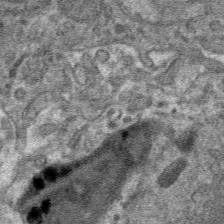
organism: Mouse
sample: Mouse hepatocytes